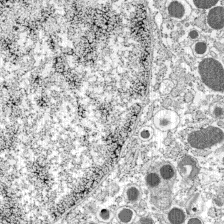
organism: C57BL Mouse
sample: Pancreatic islet